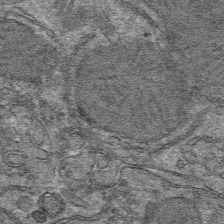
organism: Mouse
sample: Mouse hepatocytes